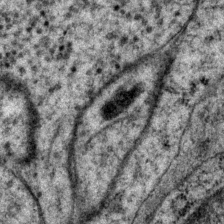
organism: P. pacificus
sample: Pharynx